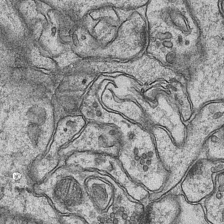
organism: Mouse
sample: CA1 Hippocampus